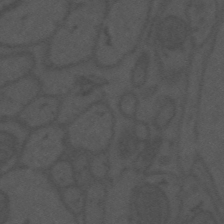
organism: Mouse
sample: Suprachiasmatic nucleus